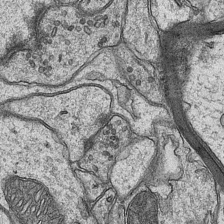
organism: Mouse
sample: CA1 Hippocampus